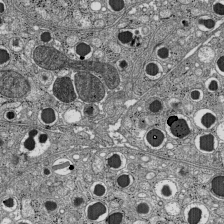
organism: C57BL Mouse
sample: Pancreatic islet